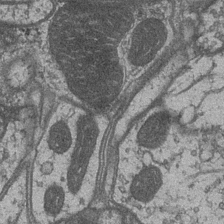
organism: Drosophila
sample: Optic medulla